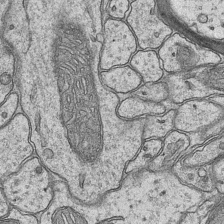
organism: Mouse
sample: CA1 Hippocampus